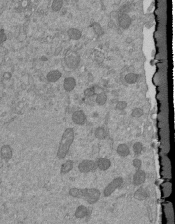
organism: Mouse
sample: ED-1 cell nuclei; centrioles